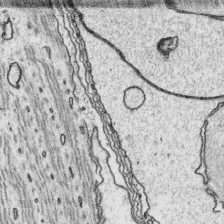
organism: Platynereis dumerilii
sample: Parapodia